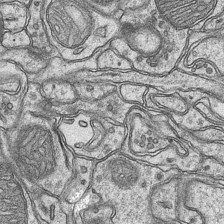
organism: Mouse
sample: CA1 Hippocampus